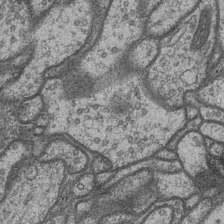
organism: Drosophila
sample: Optic medulla